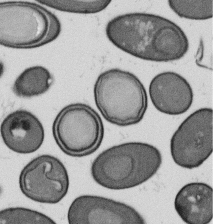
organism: B. subtilis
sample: Bacterial spore